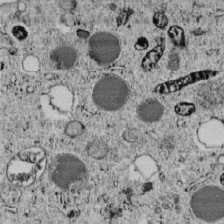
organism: C. elegans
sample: C. elegans embryo early stage